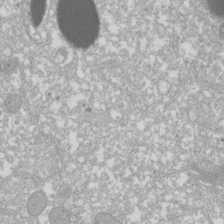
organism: Xenopus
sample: Cilia; centrioles in frog embryo cells